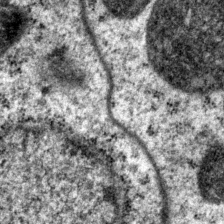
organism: P. pacificus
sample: Pharynx